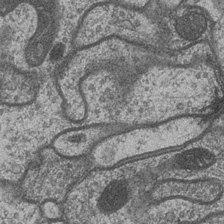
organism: Drosophila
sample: Optic medulla